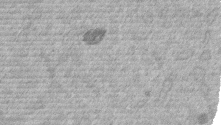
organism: Mouse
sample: Dividing mouse embryo 1 cell stage